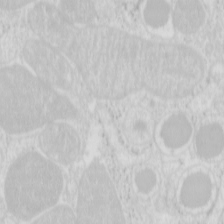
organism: Mouse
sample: Pancreas